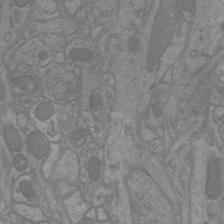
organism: Mouse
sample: Cortical neurons